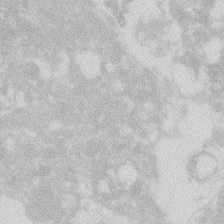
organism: Zebrafish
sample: Macrophage